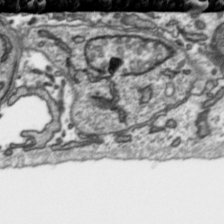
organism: Toxoplasma gondii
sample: Parasites in a vacuole inside a host cell